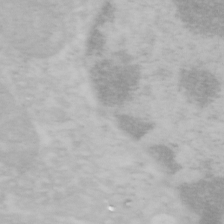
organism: Mouse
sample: OT-I killer T cells with ID8 ovarian cancer cells